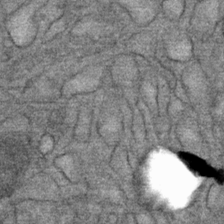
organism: Mouse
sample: Mouse Salivary gland